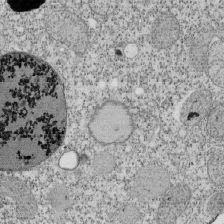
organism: Tetrahymena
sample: Cilia in tetrahymena